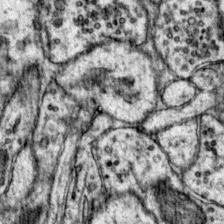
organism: Mouse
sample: Primary visual cortex